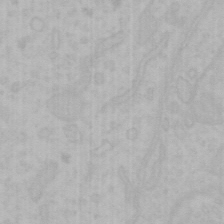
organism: Mouse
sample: Choroid plexus